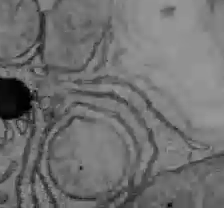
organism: C57BL Mouse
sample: Liver